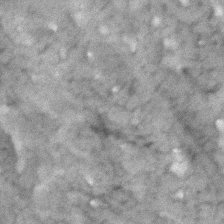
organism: Human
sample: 1205lu cells